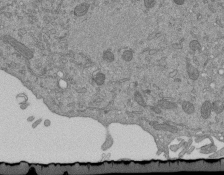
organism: Mouse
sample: ED-1 cell nuclei; centrioles